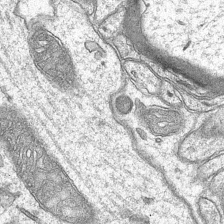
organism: Mouse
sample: CA1 Hippocampus